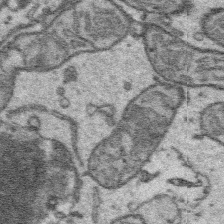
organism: Platynereis dumerilii